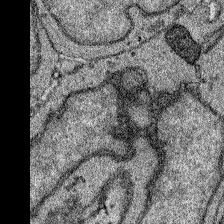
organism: Zebrafish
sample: Larval olfactory bulb